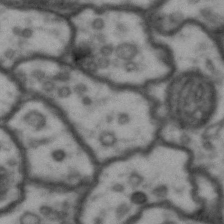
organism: Drosophila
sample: Brain